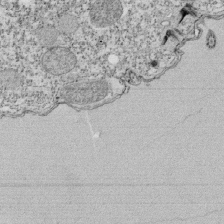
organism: Tetrahymena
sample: Cilia in tetrahymena